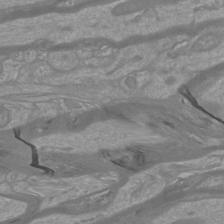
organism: Mouse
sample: Cortical neurons